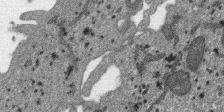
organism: Human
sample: Lung epithelial cells infected with SARS-CoV-2